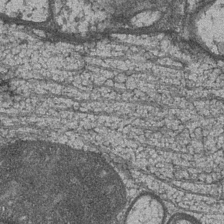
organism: Drosophila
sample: Optic medulla